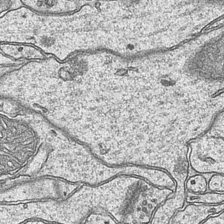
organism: Mouse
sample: CA1 Hippocampus